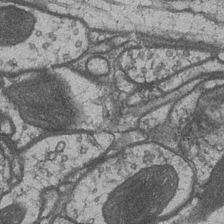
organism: Drosophila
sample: Optic medulla